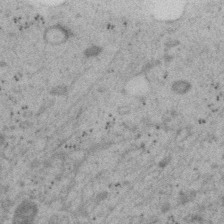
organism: Human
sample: HeLa cells